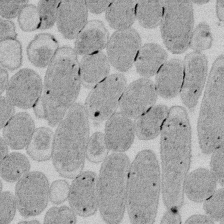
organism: E. coli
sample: Bacterial nucleoid